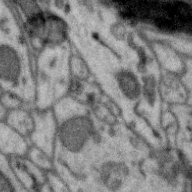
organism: Zebra finch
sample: Brain